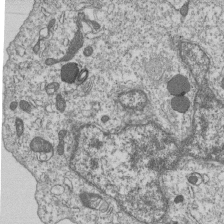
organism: Human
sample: MDA-MB-231 cells